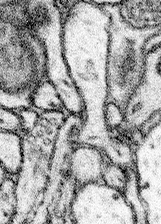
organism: Mouse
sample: Somatosensory cortex neuropil